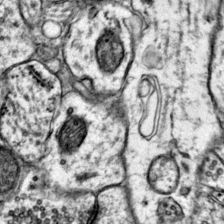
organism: Mouse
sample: Primary visual cortex